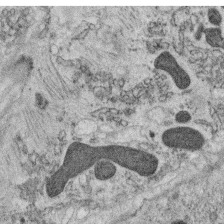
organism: C. elegans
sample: C. elegans oocyte; sperm cells